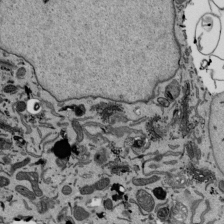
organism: Mouse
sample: ED-1 cell nuclei; centrioles